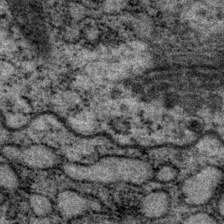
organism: P. pacificus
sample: Pharynx